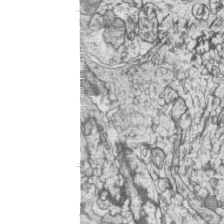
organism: Zebrafish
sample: synaptic ribbons in rod cells and cone cells